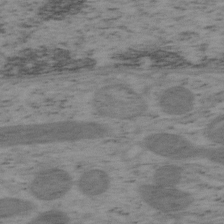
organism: Mouse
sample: OT-I killer T cells with ID8 ovarian cancer cells